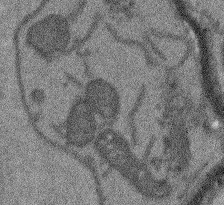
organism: Arabidopsis thaliana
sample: Root tip